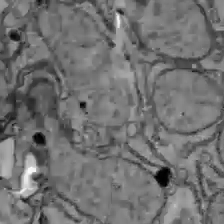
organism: C57BL Mouse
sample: Liver